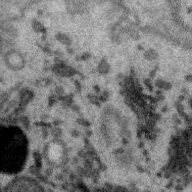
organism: Zebra finch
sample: Brain